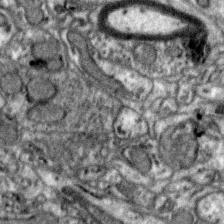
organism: Zebra finch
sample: Brain